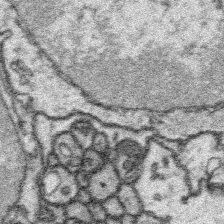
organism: Platynereis dumerilii